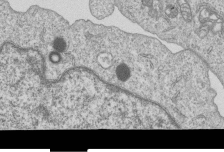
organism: Human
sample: MDA-MB-231 cells